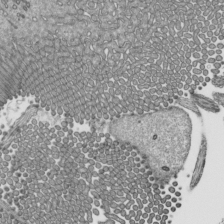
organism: Mouse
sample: Mouse epididymis efferent ductule cilia